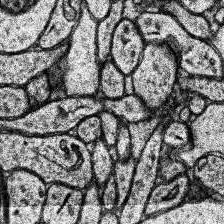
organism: Human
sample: Temporal Lobe